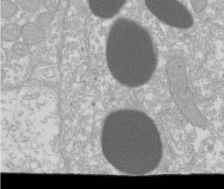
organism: Xenopus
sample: Cilia; centrioles in frog embryo cells